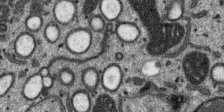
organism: Human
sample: Lung epithelial cells infected with SARS-CoV-2